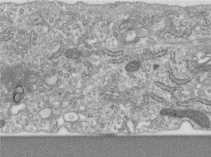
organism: Human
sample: Centriole in RPE cells